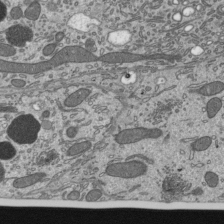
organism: Mouse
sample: Mouse epididymis efferent ductule cilia